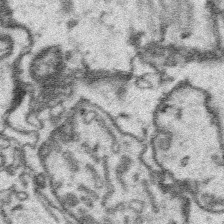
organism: Platynereis dumerilii